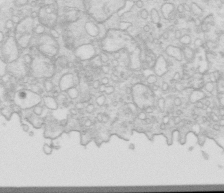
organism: Mouse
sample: Multiciliated cells